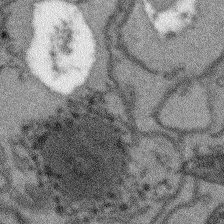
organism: Arabidopsis thaliana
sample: Root tip